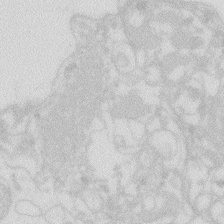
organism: Zebrafish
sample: Macrophage